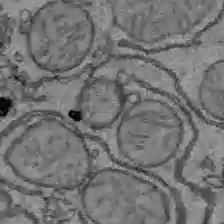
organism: C57BL Mouse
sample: Liver